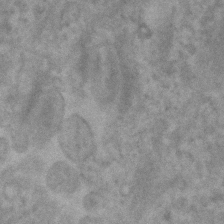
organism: Human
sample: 1205lu cells